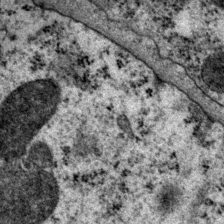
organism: P. pacificus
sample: Pharynx